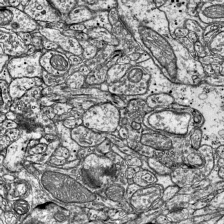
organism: Mouse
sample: Visual Cortex